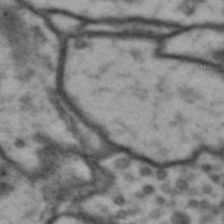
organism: Drosophila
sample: Brain